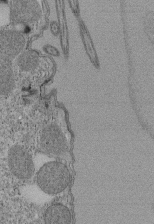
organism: Tetrahymena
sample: Cilia in tetrahymena